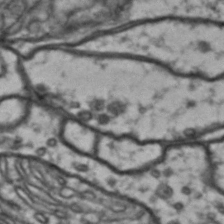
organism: Drosophila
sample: Brain